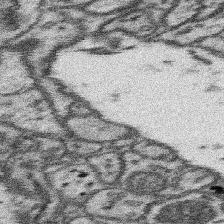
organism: Mouse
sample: Somatosensory cortex neuropil